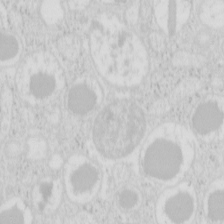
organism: Mouse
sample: Pancreas